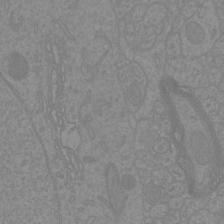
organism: Mouse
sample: Cortical neurons